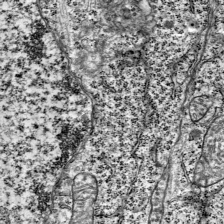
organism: Mouse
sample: Visual Cortex